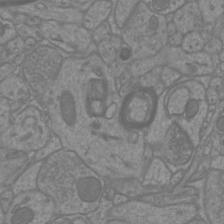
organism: Mouse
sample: Cortical neurons